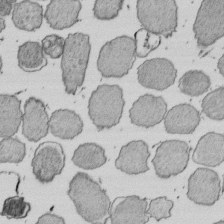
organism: E. coli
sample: Bacterial nucleoid